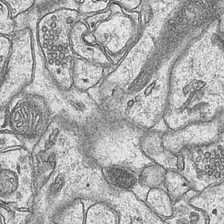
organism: Mouse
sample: CA1 Hippocampus